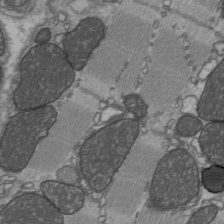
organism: C57BL Mouse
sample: Heart